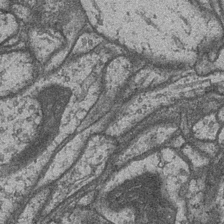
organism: Drosophila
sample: Optic medulla